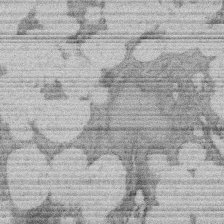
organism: Rat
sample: Salivary granule